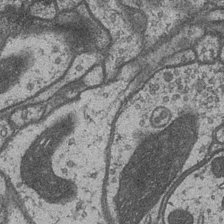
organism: Drosophila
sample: Optic medulla